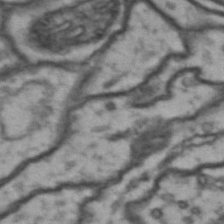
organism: Drosophila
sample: Brain